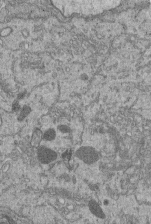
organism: Human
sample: Retinal organoid Rod and Cone cells